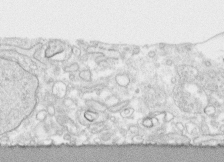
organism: Human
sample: CRL-1474